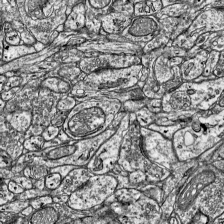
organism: Mouse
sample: Visual Cortex